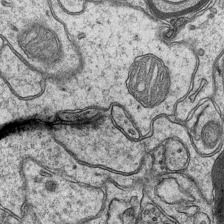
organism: Mouse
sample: CA1 Hippocampus